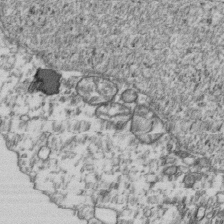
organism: Human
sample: Activated Jurkat CD4+ T cells